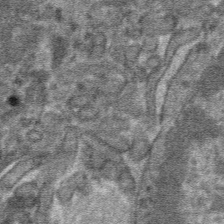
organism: Mouse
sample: Mouse hepatocytes